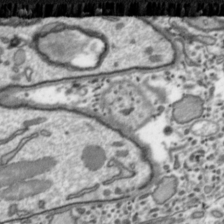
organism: Toxoplasma gondii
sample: Parasites in a vacuole inside a host cell